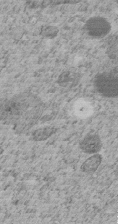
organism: C. elegans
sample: C. elegans embryo early stage